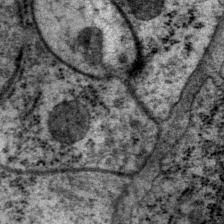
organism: P. pacificus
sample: Pharynx